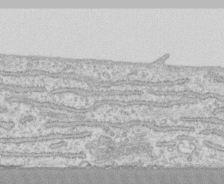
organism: Human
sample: CRL-1474